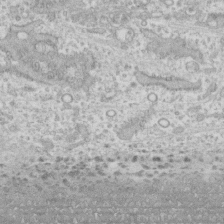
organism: Human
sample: CRL-1474